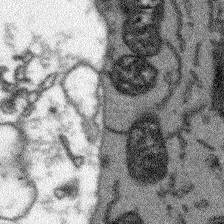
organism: Arabidopsis thaliana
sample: Root tip